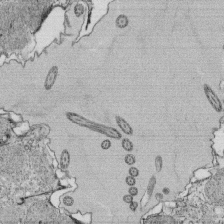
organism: Tetrahymena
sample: Cilia in tetrahymena